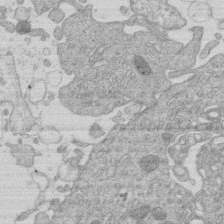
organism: Human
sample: Macrophage cells